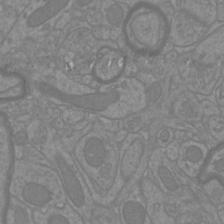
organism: Mouse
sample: Cortical neurons